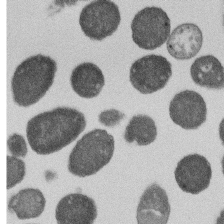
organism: E. coli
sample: Bacterial nucleoid